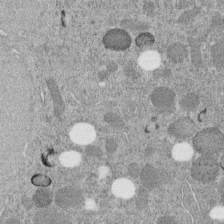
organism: C. elegans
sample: C. elegans embryo early stage